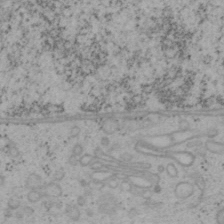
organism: Human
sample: HeLa cells